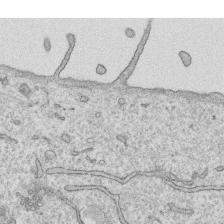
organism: Human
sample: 1205lu cells